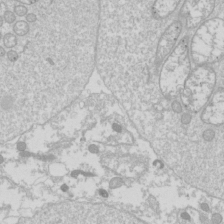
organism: Drosophila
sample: Cell division; meiosis; drosophila spermatocytes